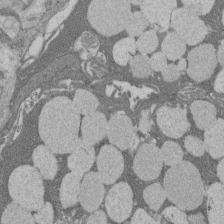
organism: Rat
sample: Salivary granule